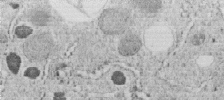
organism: C. elegans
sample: C. elegans embryo early stage